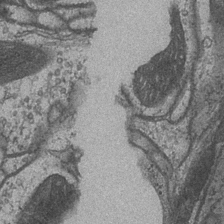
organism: Drosophila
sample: Optic medulla